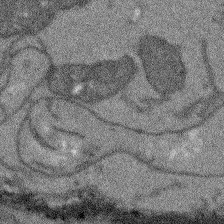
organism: Arabidopsis thaliana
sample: Root tip